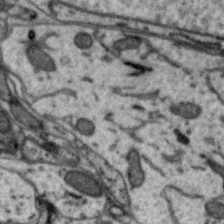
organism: Zebra finch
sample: Brain